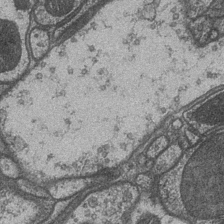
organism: Drosophila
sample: Optic medulla